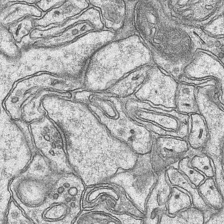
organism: Mouse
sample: CA1 Hippocampus